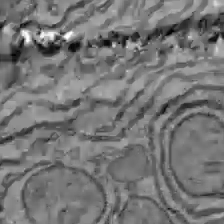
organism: C57BL Mouse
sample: Liver